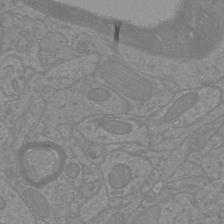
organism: Mouse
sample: Cortical neurons